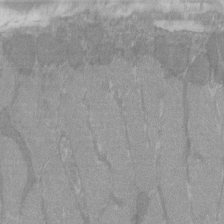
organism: C57BL Mouse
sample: Tibialis anterior muscle cell